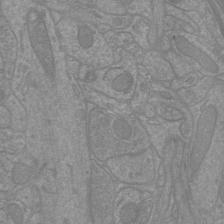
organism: Mouse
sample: Cortical neurons